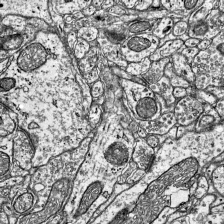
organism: Mouse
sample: Visual Cortex